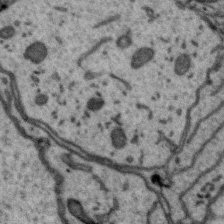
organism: Zebra finch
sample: Brain